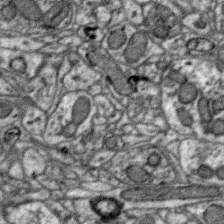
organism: Zebra finch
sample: Brain